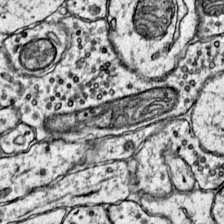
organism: Mouse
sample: Primary visual cortex